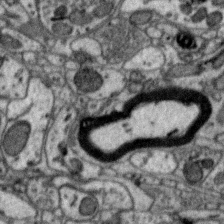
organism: Zebra finch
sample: Brain